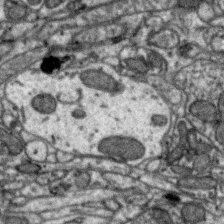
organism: Zebra finch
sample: Brain